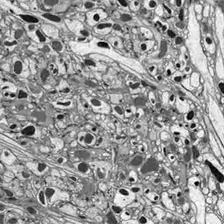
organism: Drosophila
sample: Optic lobe